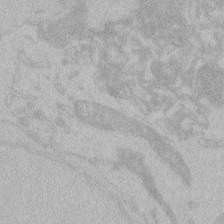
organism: Zebrafish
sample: Macrophage infected with Toxoplasma gondii